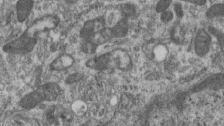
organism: Mouse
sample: Centriole in ependymal cells